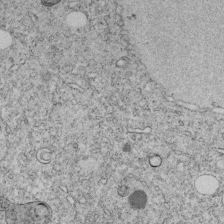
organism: C. elegans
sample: C. elegans embryo early stage